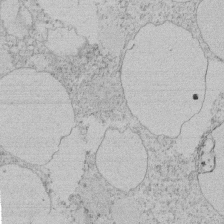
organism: Tetrahymena